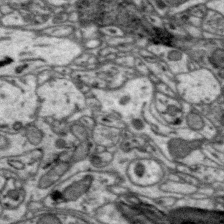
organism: Zebra finch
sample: Brain